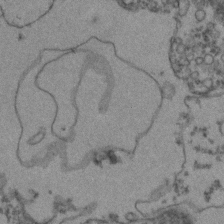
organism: Zebrafish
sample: Zebrafish embryo